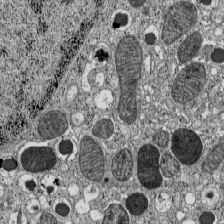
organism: C57BL Mouse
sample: Pancreatic islet